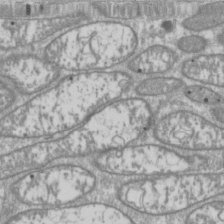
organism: Drosophila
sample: Cell division; meiosis; drosophila spermatocytes